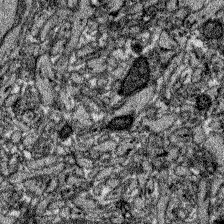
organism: Zebrafish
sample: Larval olfactory bulb